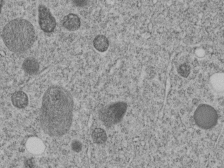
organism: C. elegans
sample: C. elegans embryo early stage